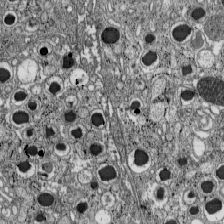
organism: C57BL Mouse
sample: Pancreatic islet